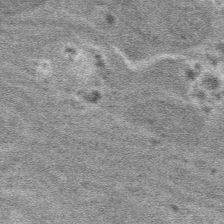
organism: Mouse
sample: Mouse hepatocytes